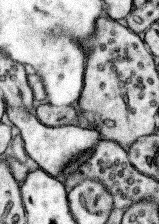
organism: Mouse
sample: Somatosensory cortex neuropil